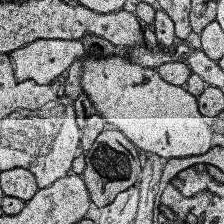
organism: Human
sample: Temporal Lobe